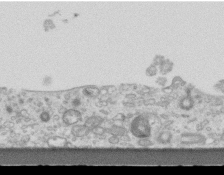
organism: Mouse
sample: Centriole in ependymal cells